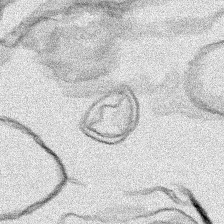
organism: Human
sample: Mitochondria in HCT116 cells